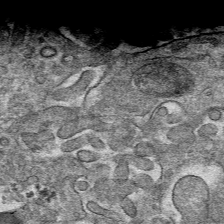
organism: Mouse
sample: Mouse hepatocytes